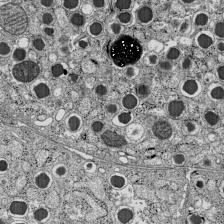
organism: C57BL Mouse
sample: Pancreatic islet